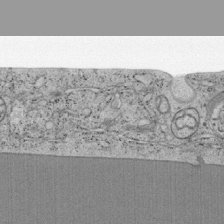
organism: Human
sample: HeLa cells